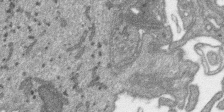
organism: Human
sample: Lung epithelial cells infected with SARS-CoV-2